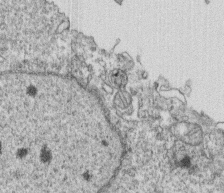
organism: Human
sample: HeLa cell HIV synapse